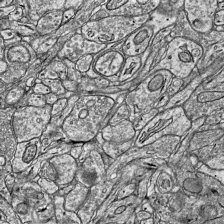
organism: Mouse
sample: Visual Cortex